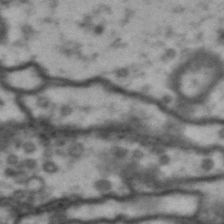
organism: Drosophila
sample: Brain